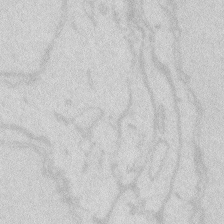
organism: Zebrafish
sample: Macrophage